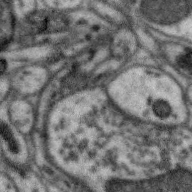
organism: Zebra finch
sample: Brain